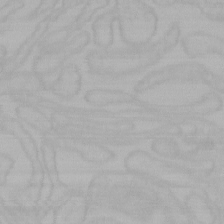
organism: Mouse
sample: Choroid plexus